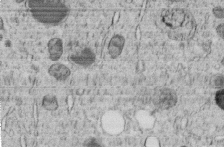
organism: C. elegans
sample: C. elegans embryo early stage